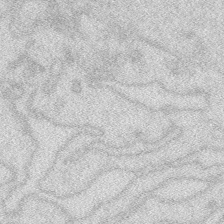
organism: Zebrafish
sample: Macrophage